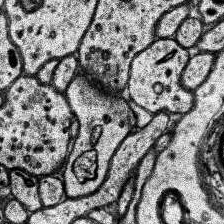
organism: Human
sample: Temporal Lobe